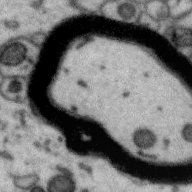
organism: Zebra finch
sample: Brain